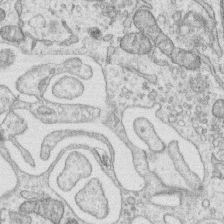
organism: Human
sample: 1205lu cells